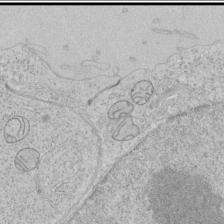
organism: Human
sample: Mitochondria in HCT116 cells